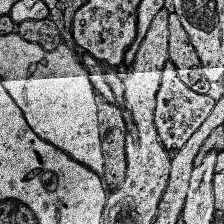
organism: Human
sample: Temporal Lobe